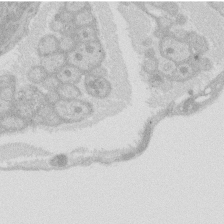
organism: Rat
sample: Salivary granule